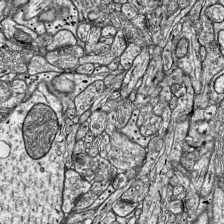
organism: Mouse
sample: Visual Cortex